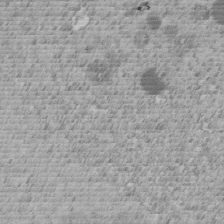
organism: C. elegans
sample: C. elegans embryo early stage